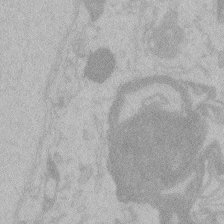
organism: Zebrafish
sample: Macrophage infected with Toxoplasma gondii